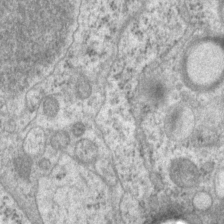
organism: P. pacificus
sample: Pharynx